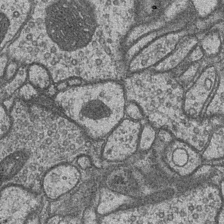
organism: Drosophila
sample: Optic medulla